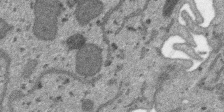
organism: Human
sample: Lung epithelial cells infected with SARS-CoV-2